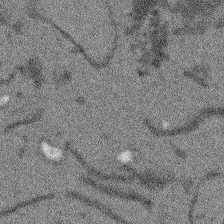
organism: Arabidopsis thaliana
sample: Root tip